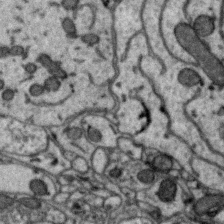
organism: Zebra finch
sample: Brain